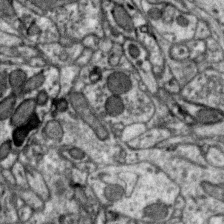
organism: Zebra finch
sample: Brain